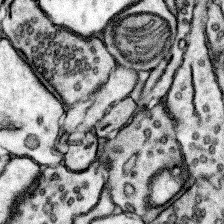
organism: Mouse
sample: Somatosensory cortex neuropil